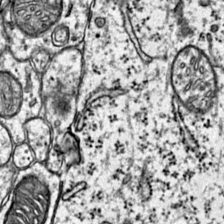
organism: Mouse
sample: Primary visual cortex